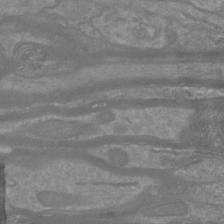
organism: Mouse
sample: Cortical neurons